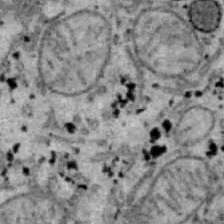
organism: Mouse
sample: Liver from an obese (ob/ob) mouse